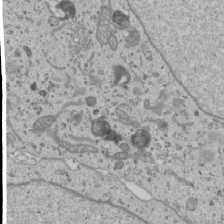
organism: Human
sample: Mitochondria in U2OS cells